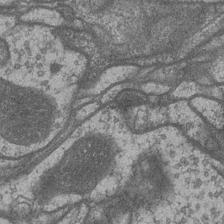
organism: Drosophila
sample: Optic medulla